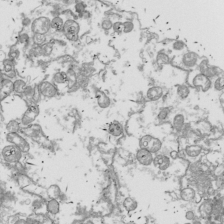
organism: Drosophila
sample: Cell division; meiosis; drosophila spermatocytes